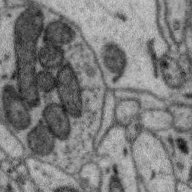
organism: Zebra finch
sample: Brain